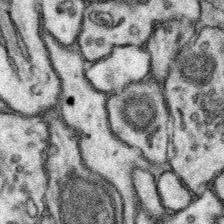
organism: Mouse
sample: Somatosensory cortex neuropil